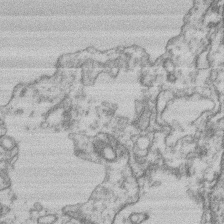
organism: Mouse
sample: T cell stromal cell synapse